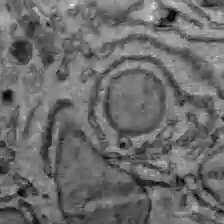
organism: C57BL Mouse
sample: Liver